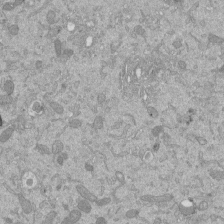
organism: Mouse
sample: ED-1 cell nuclei; centrioles